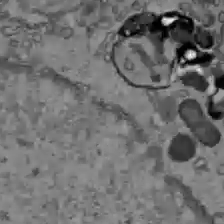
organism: C57BL Mouse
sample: Liver